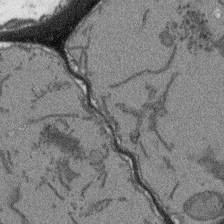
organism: Arabidopsis thaliana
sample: Root tip